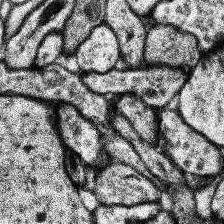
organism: Human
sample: Temporal Lobe